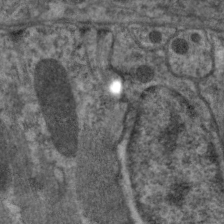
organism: C. elegans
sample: Pharynx